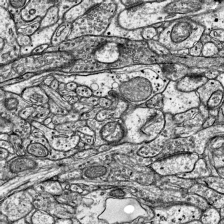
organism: Mouse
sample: Visual Cortex